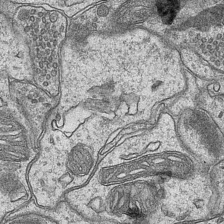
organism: Mouse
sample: CA1 Hippocampus